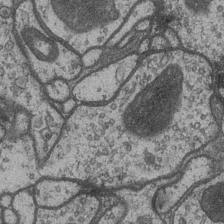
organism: Drosophila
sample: Optic medulla